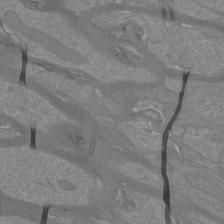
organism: Mouse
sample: Cortical neurons